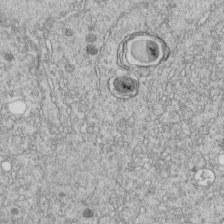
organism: C. elegans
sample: C. elegans embryo early stage